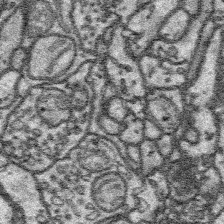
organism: Platynereis dumerilii